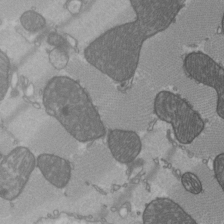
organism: C57BL Mouse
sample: Heart